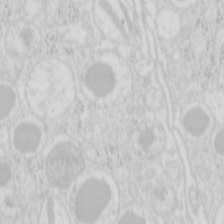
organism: Mouse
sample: Pancreas